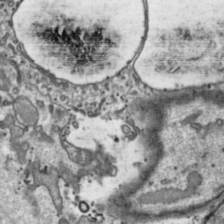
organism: Toxoplasma gondii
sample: Parasites in a vacuole inside a host cell